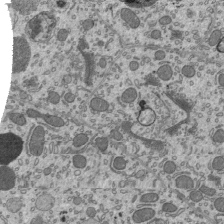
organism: Mouse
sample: Mouse epididymis efferent ductule cilia